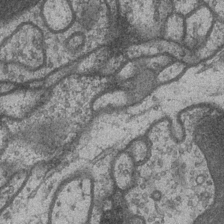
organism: Drosophila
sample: Optic medulla